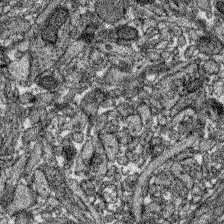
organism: Zebrafish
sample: Larval olfactory bulb